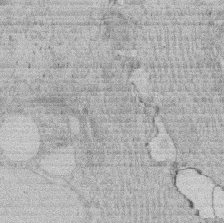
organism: Rat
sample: Salivary granule